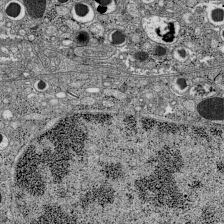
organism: C57BL Mouse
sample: Pancreatic islet